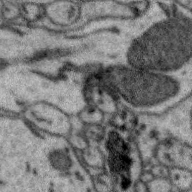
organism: Zebra finch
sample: Brain